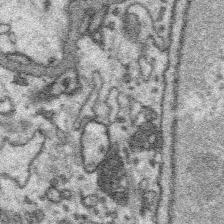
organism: Platynereis dumerilii